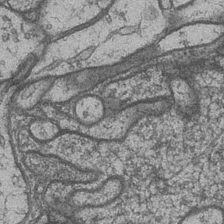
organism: Drosophila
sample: Optic medulla